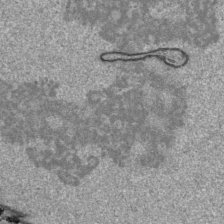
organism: Human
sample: Mitochondria in HCT116 cells